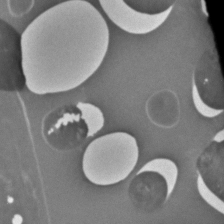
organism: C. elegans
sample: C. elegans embryo